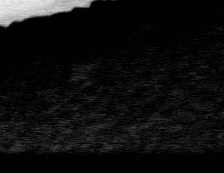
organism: Human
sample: HeLa cells